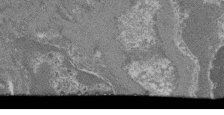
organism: Mouse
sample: Glomerulus